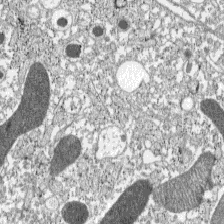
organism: C57BL Mouse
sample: Pancreatic islet